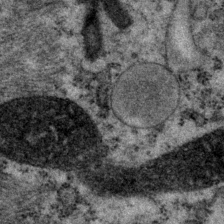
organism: P. pacificus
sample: Pharynx